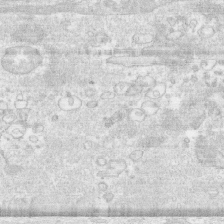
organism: Human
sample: CRL-1474